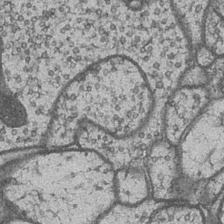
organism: Drosophila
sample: Optic medulla